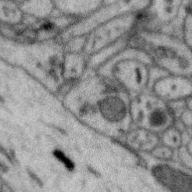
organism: Zebra finch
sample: Brain